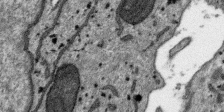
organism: Human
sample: Lung epithelial cells, uninfected (mock) control